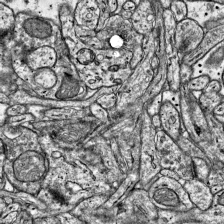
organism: Mouse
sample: Visual Cortex